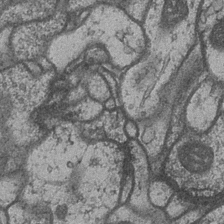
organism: Drosophila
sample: Optic medulla